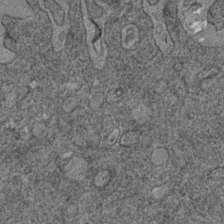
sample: Trachea